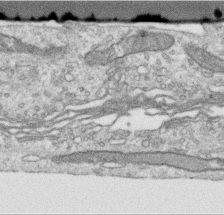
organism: Human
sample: Centriole in RPE cells